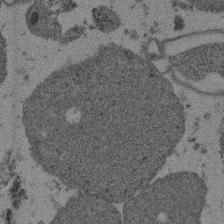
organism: Mouse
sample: Dividing mouse embryo 1 cell stage